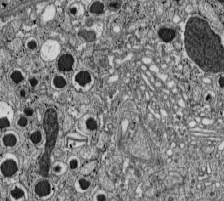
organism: C57BL Mouse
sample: Pancreatic islet